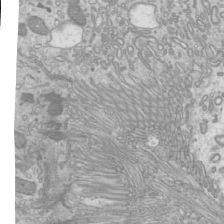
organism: Mouse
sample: Cilia; mouse epididymis